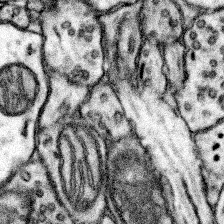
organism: Mouse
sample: Somatosensory cortex neuropil